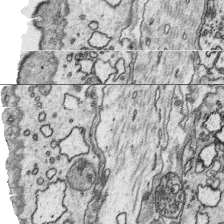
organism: Platynereis dumerilii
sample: Parapodia